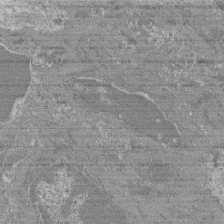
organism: Mouse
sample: Glomerulus